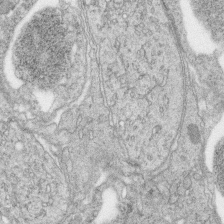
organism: Zebrafish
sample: synaptic ribbons in rod cells and cone cells